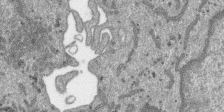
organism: Human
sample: Lung epithelial cells infected with SARS-CoV-2